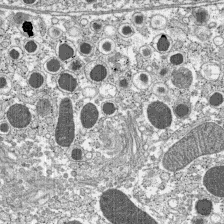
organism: C57BL Mouse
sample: Pancreatic islet